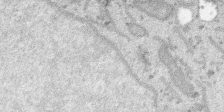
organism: Human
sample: Lung epithelial cells infected with SARS-CoV-2